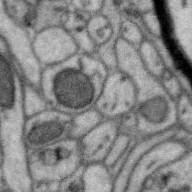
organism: Zebra finch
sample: Brain